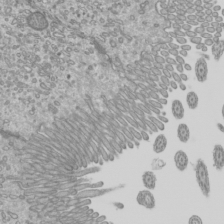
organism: Mouse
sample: Cilia; mouse epididymis